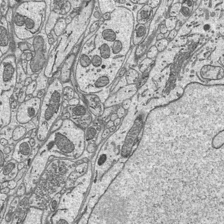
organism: Mouse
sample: Suprachiasmatic nucleus